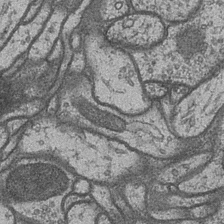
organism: Drosophila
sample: Optic medulla